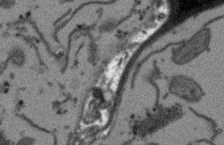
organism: Arabidopsis thaliana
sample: Root tip